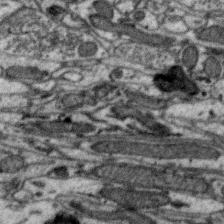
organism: Zebra finch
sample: Brain